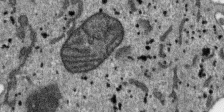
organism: Human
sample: Lung epithelial cells, uninfected (mock) control